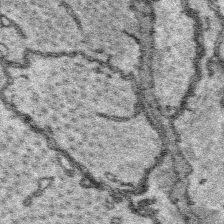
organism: Platynereis dumerilii